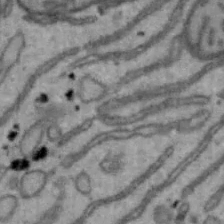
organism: Mouse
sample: Liver